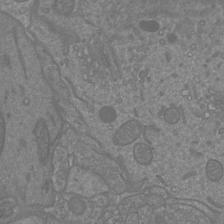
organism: Mouse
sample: Cortical neurons